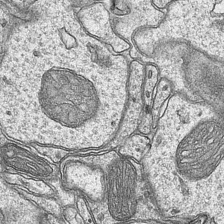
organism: Mouse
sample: CA1 Hippocampus